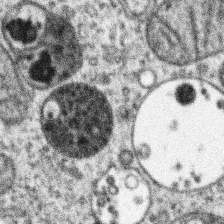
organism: Human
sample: HeLa cells